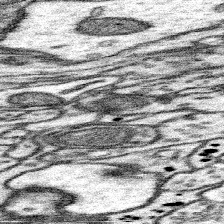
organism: Mouse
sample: Somatosensory cortex neuropil